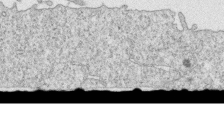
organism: Human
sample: HeLa cell HIV synapse